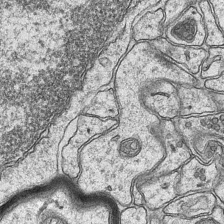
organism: Mouse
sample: CA1 Hippocampus